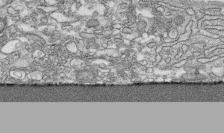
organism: Human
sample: CRL-1474